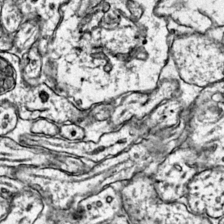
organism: Mouse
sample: Primary visual cortex